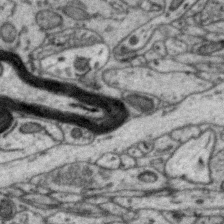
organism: Zebra finch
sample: Brain